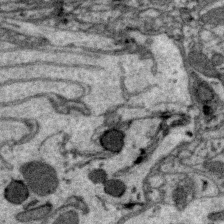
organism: Zebra finch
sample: Brain